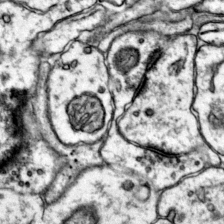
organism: Mouse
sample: Primary visual cortex